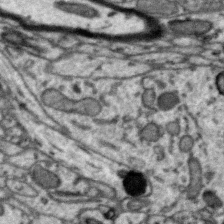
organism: Zebra finch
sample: Brain